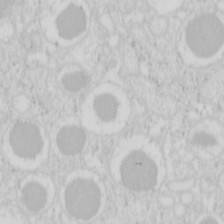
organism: Mouse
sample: Pancreas